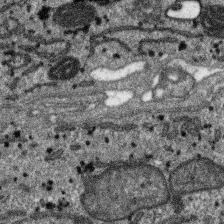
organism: Human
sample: Lung epithelial cells infected with SARS-CoV-2